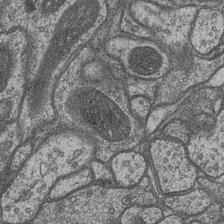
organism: Drosophila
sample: Optic medulla